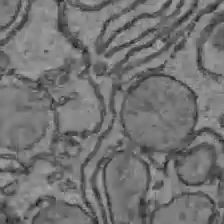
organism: C57BL Mouse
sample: Liver